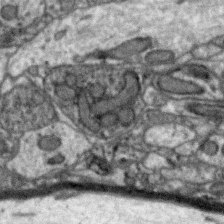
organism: Zebra finch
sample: Brain